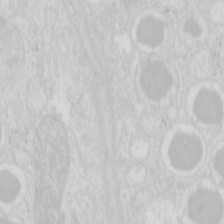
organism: Mouse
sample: Pancreas